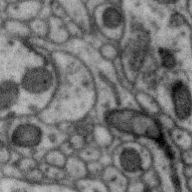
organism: Zebra finch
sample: Brain